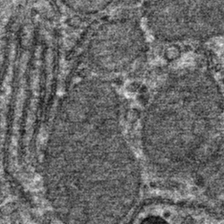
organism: Mouse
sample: Mouse hepatocytes